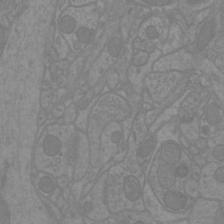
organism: Mouse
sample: Cortical neurons